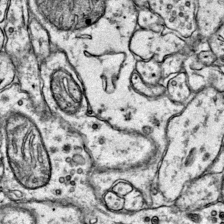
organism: Mouse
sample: Primary visual cortex